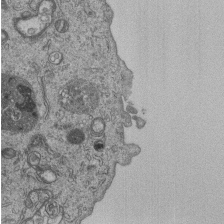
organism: Human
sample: MDA-MB-231 cells